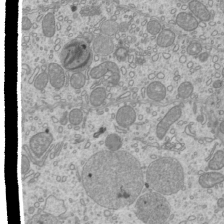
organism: Mouse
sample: Cilia; mouse epididymis